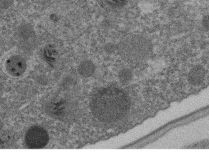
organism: C. elegans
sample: C. elegans embryo early stage